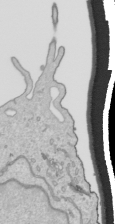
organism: Human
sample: Mitochondria in HCT116 cells